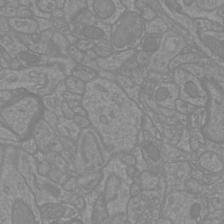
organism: Mouse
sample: Cortical neurons